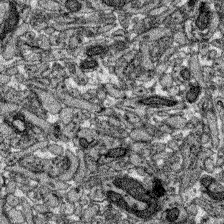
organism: Zebrafish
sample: Larval olfactory bulb